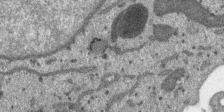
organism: Human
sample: Lung epithelial cells infected with SARS-CoV-2